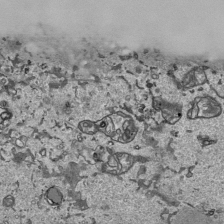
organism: Human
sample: Mitochondria in HCT116 cells